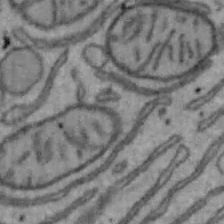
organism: Mouse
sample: Liver